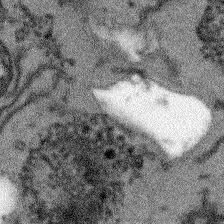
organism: Arabidopsis thaliana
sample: Root tip